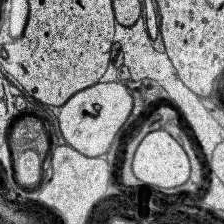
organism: Human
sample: Temporal Lobe